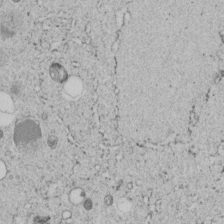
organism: C. elegans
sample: C. elegans embryo early stage